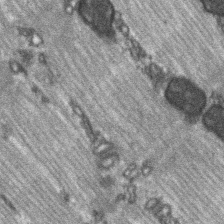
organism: C57BL Mouse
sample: Soleus